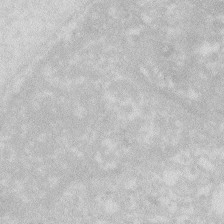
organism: Zebrafish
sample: Macrophage